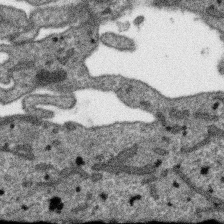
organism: Human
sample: Lung epithelial cells infected with SARS-CoV-2